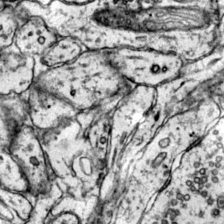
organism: Mouse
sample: Primary visual cortex